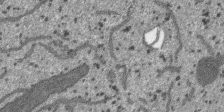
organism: Human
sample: Lung epithelial cells infected with SARS-CoV-2